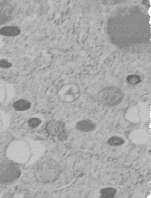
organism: C. elegans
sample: C. elegans embryo early stage